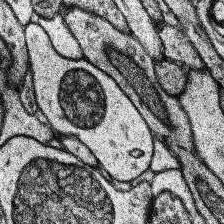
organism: Human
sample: Temporal Lobe